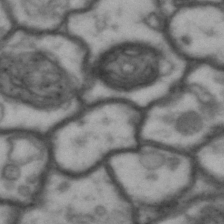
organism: Drosophila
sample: Brain